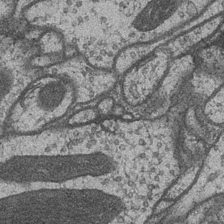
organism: Drosophila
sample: Optic medulla